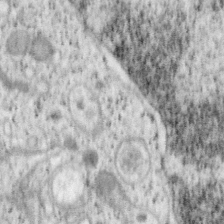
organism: Mouse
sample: OT-I killer T cells with ID8 ovarian cancer cells